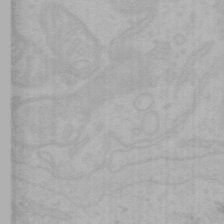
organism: Mouse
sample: Choroid plexus